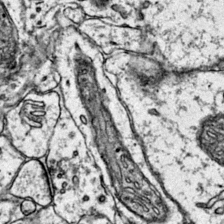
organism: Mouse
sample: Primary visual cortex